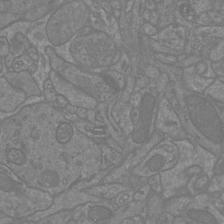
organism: Mouse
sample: Cortical neurons